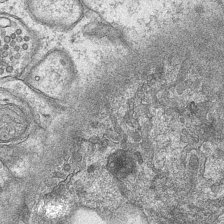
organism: Mouse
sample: CA1 Hippocampus